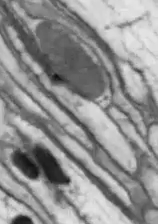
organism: Drosophila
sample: Optic lobe